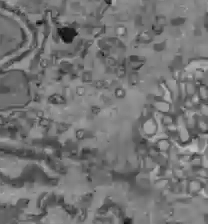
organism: C57BL Mouse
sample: Liver